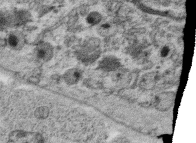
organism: C. elegans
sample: C. elegans oocyte; sperm cells